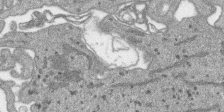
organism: Human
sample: Lung epithelial cells infected with SARS-CoV-2